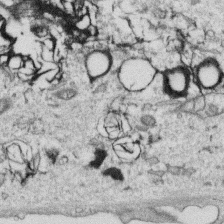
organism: Human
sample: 1205lu cells